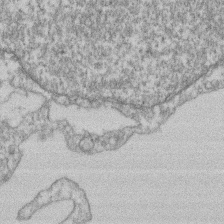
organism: Mouse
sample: T cell stromal cell synapse